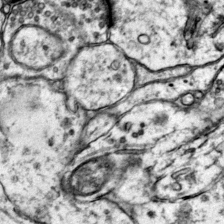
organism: Mouse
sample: Primary visual cortex